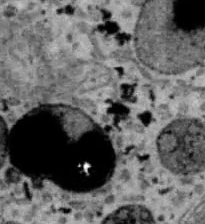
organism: Mouse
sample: Liver from an obese (ob/ob) mouse